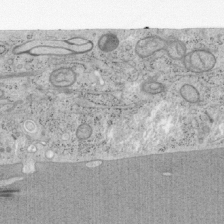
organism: Human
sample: HeLa cells